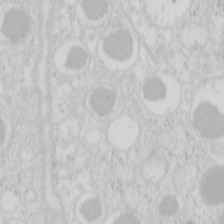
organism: Mouse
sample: Pancreas